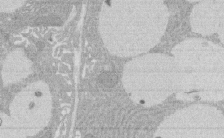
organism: Rat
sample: Salivary granule